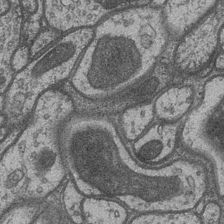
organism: Drosophila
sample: Optic medulla